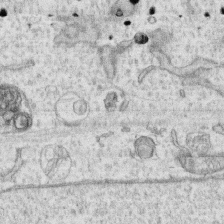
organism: Human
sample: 1205lu cells